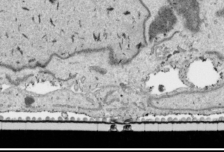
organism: Human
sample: Mitochondria in HCT116 cells